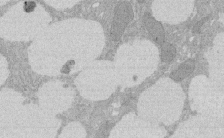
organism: Rat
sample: Salivary granule